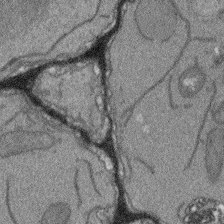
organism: Arabidopsis thaliana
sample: Root tip